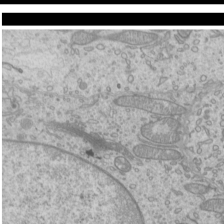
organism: Mouse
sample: Cilia; mouse epididymis